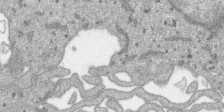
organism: Human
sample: Lung epithelial cells infected with SARS-CoV-2